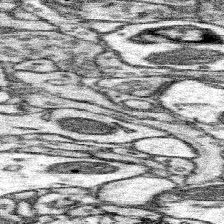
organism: Mouse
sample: Somatosensory cortex neuropil